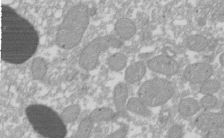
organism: Xenopus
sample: Cilia; centrioles in frog embryo cells